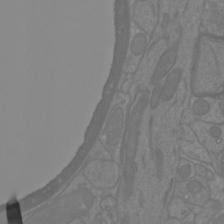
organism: Mouse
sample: Cortical neurons